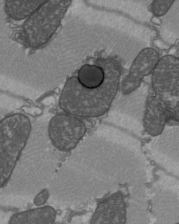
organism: C57BL Mouse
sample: Heart